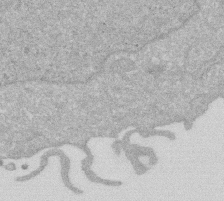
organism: Human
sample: HIV infected U937 cells